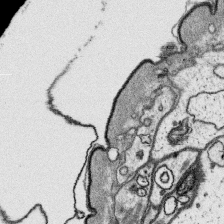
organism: Platynereis dumerilii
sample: Parapodia